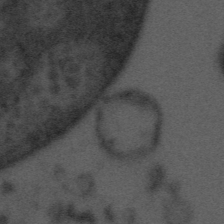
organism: Tuwongella immobilis